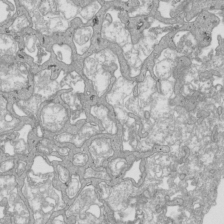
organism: Human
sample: Mitochondria in HCT116 cells